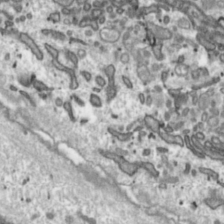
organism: Toxoplasma gondii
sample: Parasites in a vacuole inside a host cell